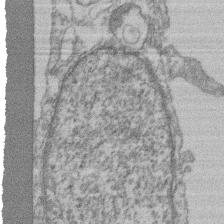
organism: Mouse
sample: T cell stromal cell synapse